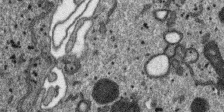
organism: Human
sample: Lung epithelial cells infected with SARS-CoV-2